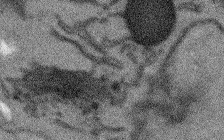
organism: Arabidopsis thaliana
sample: Root tip